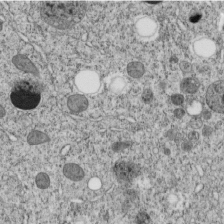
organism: C. elegans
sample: C. elegans embryo early stage